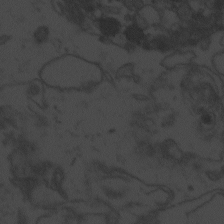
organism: Zebrafish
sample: Macrophage infected with Toxoplasma gondii